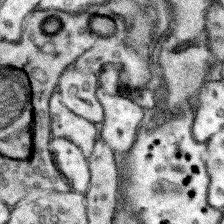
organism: Mouse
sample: Somatosensory cortex neuropil